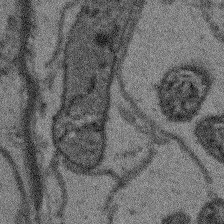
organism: Arabidopsis thaliana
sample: Root tip